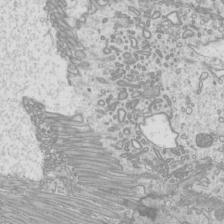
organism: Mouse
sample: Cilia; mouse epididymis